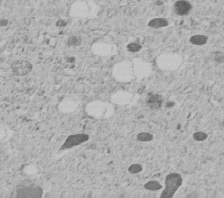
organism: C. elegans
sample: C. elegans embryo early stage